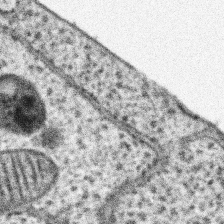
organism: Human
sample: HeLa cells